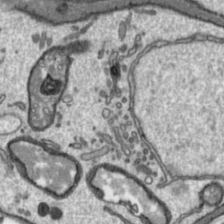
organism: Toxoplasma gondii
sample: Parasites in a vacuole inside a host cell